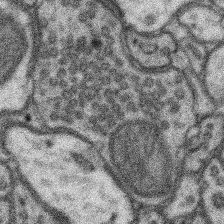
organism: Mouse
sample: Somatosensory cortex neuropil